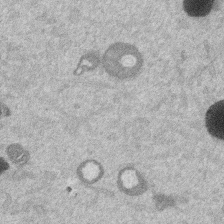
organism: Mouse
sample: Dividing mouse embryo 1 cell stage